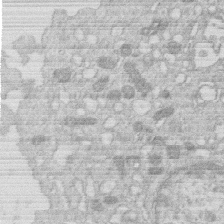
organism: Human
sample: Macrophage cells